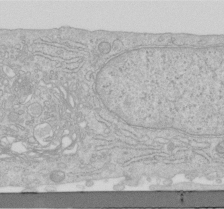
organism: Human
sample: Centriole in RPE cells